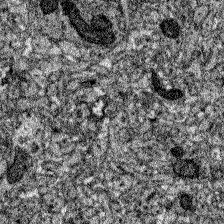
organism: Zebrafish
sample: Larval olfactory bulb